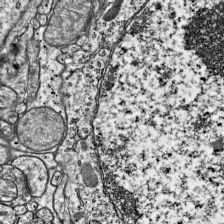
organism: Mouse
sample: Visual Cortex